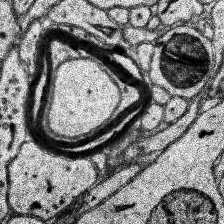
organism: Human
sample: Temporal Lobe